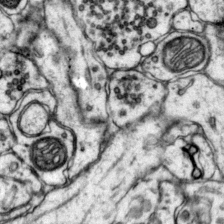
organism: Mouse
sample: Primary visual cortex